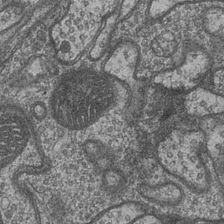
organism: Drosophila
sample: Optic medulla